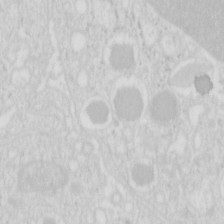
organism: Mouse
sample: Pancreas